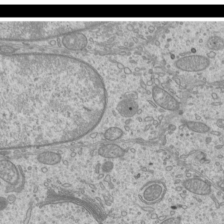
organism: Mouse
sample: Cilia; mouse epididymis